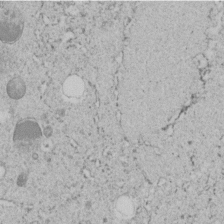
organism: C. elegans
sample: C. elegans embryo early stage